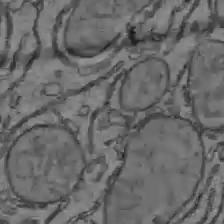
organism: C57BL Mouse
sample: Liver